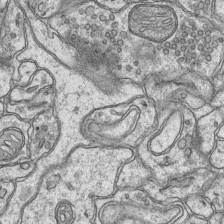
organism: Mouse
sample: CA1 Hippocampus